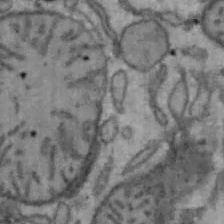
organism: Mouse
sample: Liver